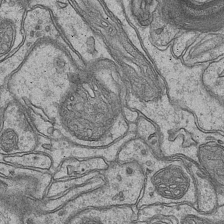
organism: Mouse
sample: CA1 Hippocampus